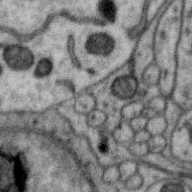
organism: Zebra finch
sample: Brain